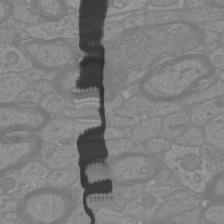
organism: Mouse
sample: Cortical neurons